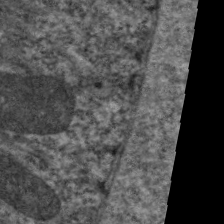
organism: C. elegans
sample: Pharynx